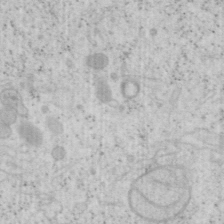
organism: Human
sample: HeLa cells